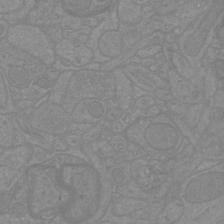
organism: Mouse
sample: Cortical neurons